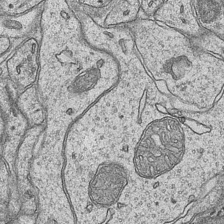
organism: Mouse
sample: CA1 Hippocampus